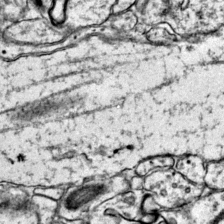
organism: Mouse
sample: Primary visual cortex